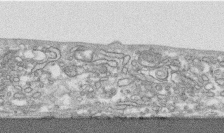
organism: Human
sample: CRL-1474